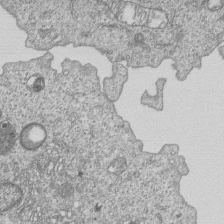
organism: Human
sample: MDA-MB-231 cells